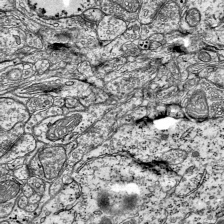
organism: Mouse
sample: Visual Cortex